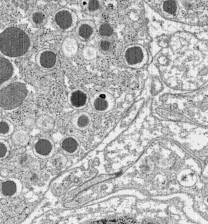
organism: C57BL Mouse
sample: Pancreatic islet